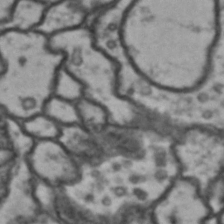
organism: Drosophila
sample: Brain